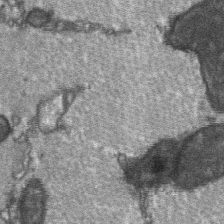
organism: C57BL Mouse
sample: Soleus